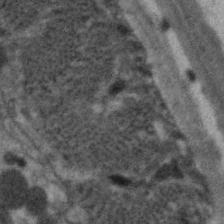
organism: C. elegans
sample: Pharynx